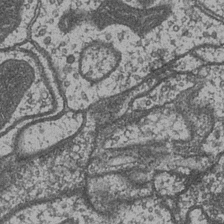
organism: Drosophila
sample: Optic medulla